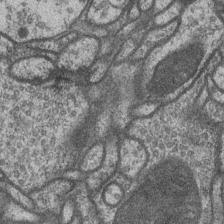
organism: Drosophila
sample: Optic medulla